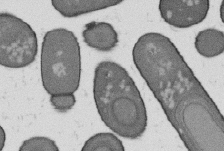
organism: B. subtilis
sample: Bacterial spore